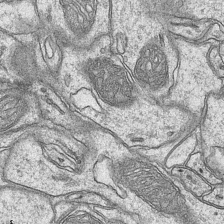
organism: Mouse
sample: CA1 Hippocampus